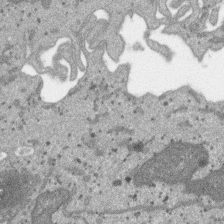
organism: Human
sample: Lung epithelial cells infected with SARS-CoV-2